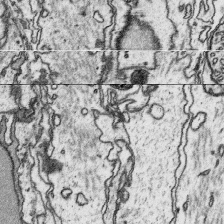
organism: Platynereis dumerilii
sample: Parapodia